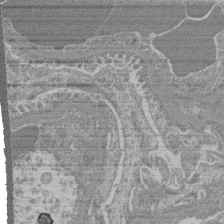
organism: Mouse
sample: Glomerulus